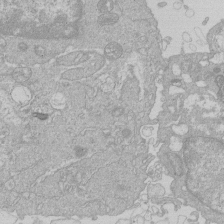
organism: Human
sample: Macrophage cells